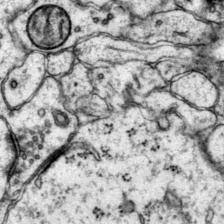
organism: Mouse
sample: Primary visual cortex